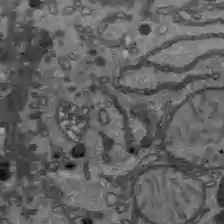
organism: C57BL Mouse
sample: Liver